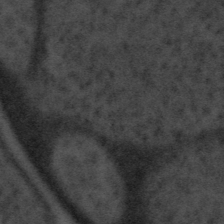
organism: Tuwongella immobilis